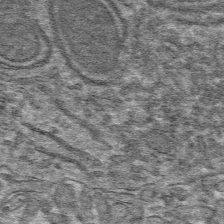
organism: Mouse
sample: Mouse hepatocytes